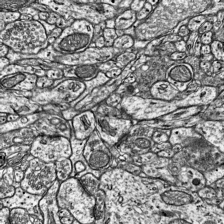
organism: Mouse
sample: Visual Cortex